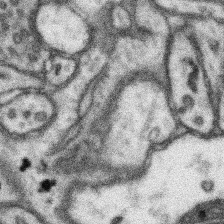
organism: Mouse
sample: Somatosensory cortex neuropil